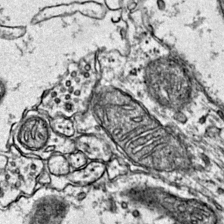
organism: Mouse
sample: Primary visual cortex